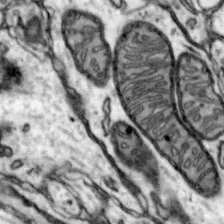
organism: Mouse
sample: Nucleus accumbens